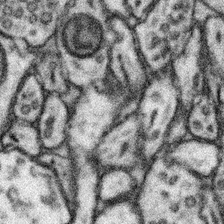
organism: Mouse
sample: Somatosensory cortex neuropil